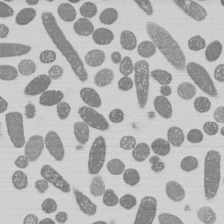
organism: E. coli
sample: Bacterial nucleoid